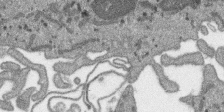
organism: Human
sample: Lung epithelial cells infected with SARS-CoV-2